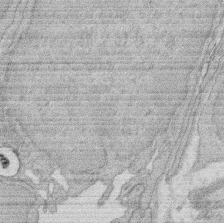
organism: Rat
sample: Salivary granule